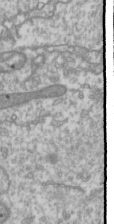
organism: Drosophila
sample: Cell division; meiosis; drosophila spermatocytes